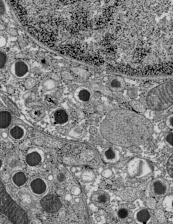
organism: C57BL Mouse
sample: Pancreatic islet